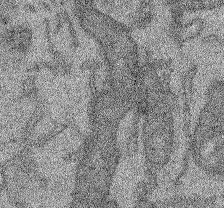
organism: Human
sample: HeLa cells